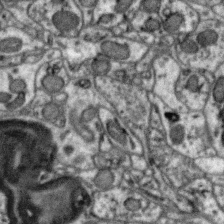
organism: Zebra finch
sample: Brain